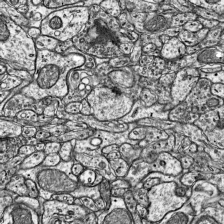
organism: Mouse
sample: Visual Cortex